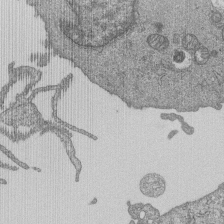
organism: Human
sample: MDA-MB-231 cells